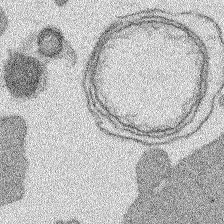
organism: Human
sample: HeLa cells